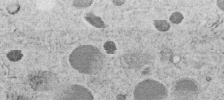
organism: C. elegans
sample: C. elegans embryo early stage